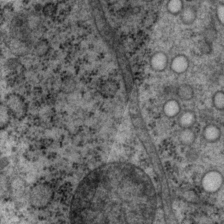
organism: P. pacificus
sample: Pharynx